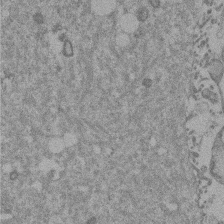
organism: Mouse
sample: Dividing mouse embryo 1 cell stage